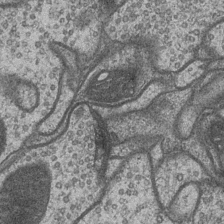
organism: Drosophila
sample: Optic medulla